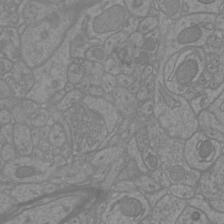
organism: Mouse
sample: Cortical neurons